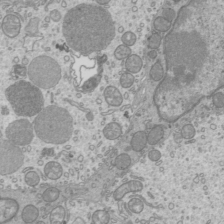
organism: Mouse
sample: Cilia; mouse epididymis